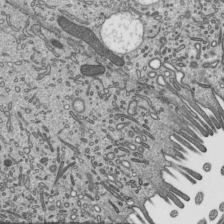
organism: Mouse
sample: Mouse epididymis efferent ductule cilia